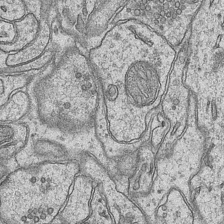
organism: Mouse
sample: CA1 Hippocampus